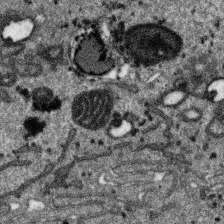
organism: Human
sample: Lung epithelial cells infected with SARS-CoV-2